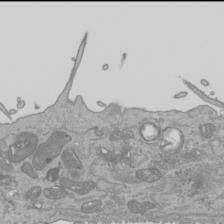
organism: Human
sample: Mitochondria in HCT116 cells